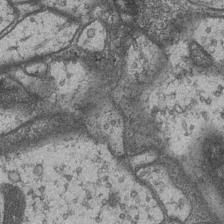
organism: Drosophila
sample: Optic medulla